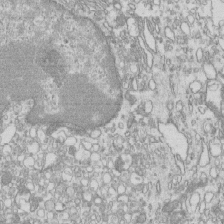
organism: Mouse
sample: Macrophages